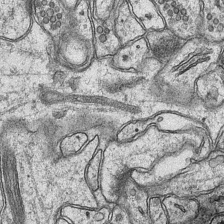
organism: Mouse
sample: CA1 Hippocampus